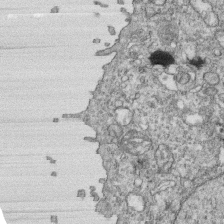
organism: Human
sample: HeLa cell HIV synapse